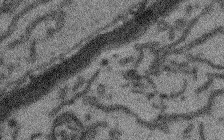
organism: Arabidopsis thaliana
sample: Root tip